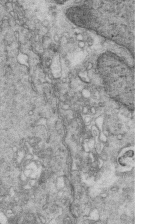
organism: Mouse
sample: Multiciliated cells